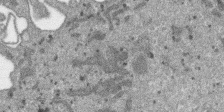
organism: Human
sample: Lung epithelial cells infected with SARS-CoV-2